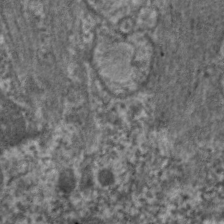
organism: C. elegans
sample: Pharynx